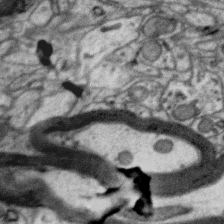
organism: Zebra finch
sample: Brain